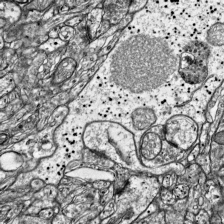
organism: Mouse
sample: Visual Cortex